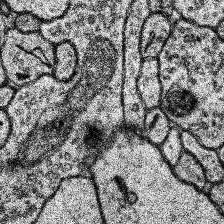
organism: Human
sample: Temporal Lobe